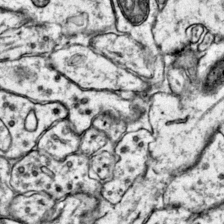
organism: Mouse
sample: Primary visual cortex